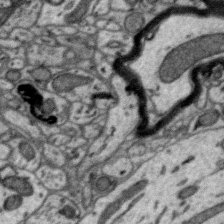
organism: Zebra finch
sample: Brain